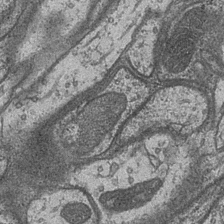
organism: Drosophila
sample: Optic medulla